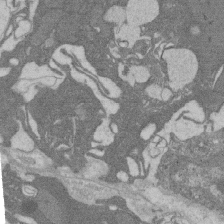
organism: Rat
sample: Salivary granule